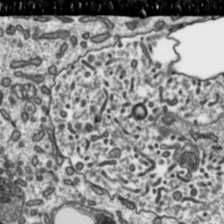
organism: Toxoplasma gondii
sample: Parasites in a vacuole inside a host cell